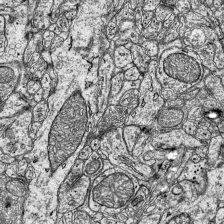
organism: Mouse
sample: Visual Cortex